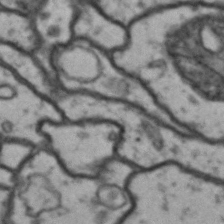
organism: Drosophila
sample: Brain